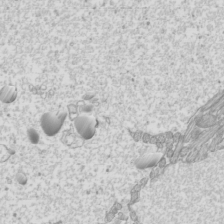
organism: Mouse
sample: Cilia; mouse epididymis